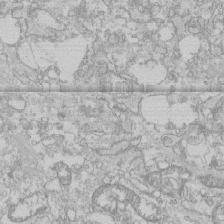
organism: Human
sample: CRL-1474